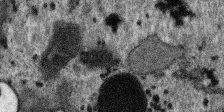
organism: Human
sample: Lung epithelial cells infected with SARS-CoV-2